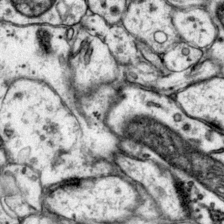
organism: Mouse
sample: Primary visual cortex